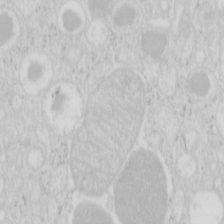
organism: Mouse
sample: Pancreas